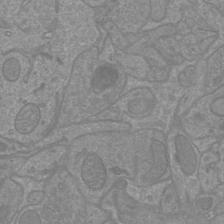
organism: Mouse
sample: Cortical neurons